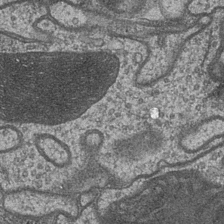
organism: Drosophila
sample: Optic medulla